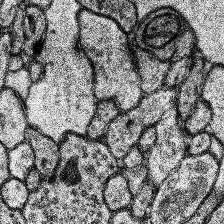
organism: Human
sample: Temporal Lobe